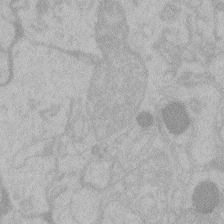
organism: Zebrafish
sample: Macrophage infected with Toxoplasma gondii